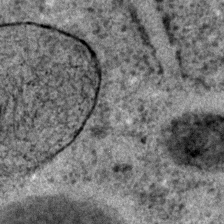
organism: C. elegans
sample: C. elegans embryo